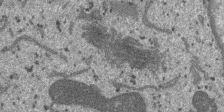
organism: Human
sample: Lung epithelial cells infected with SARS-CoV-2